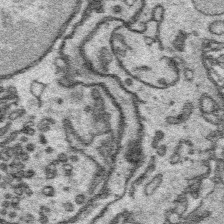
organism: Platynereis dumerilii